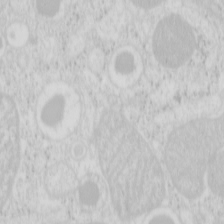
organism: Mouse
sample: Pancreas